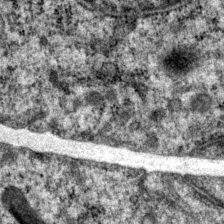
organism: P. pacificus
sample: Pharynx